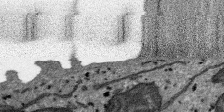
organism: Human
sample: Lung epithelial cells, uninfected (mock) control